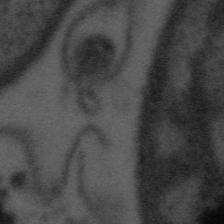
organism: Tuwongella immobilis